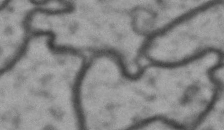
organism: Drosophila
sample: Brain